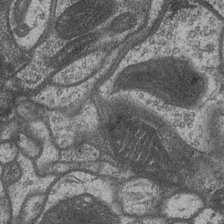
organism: Drosophila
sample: Optic medulla